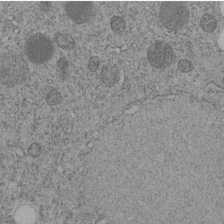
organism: C. elegans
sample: C. elegans embryo early stage